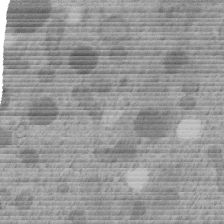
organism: C. elegans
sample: C. elegans embryo early stage